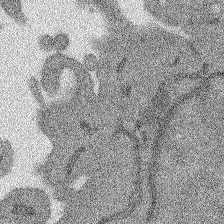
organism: Human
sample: HeLa cells